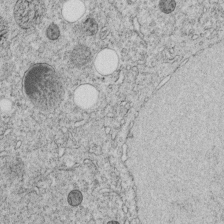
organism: C. elegans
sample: C. elegans embryo early stage